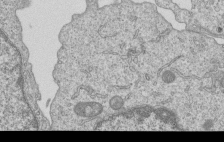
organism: Human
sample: MDA-MB-231 cells